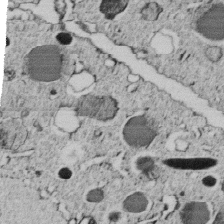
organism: C. elegans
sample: C. elegans embryo early stage